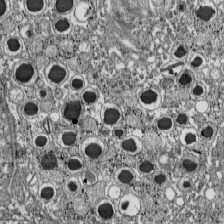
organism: C57BL Mouse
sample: Pancreatic islet